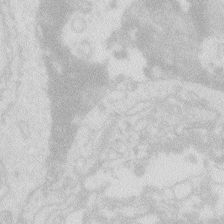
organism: Zebrafish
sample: Macrophage